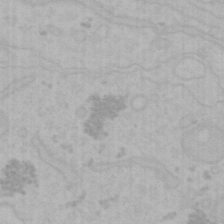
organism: Mouse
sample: Choroid plexus